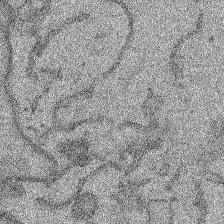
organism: Human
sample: HeLa cells